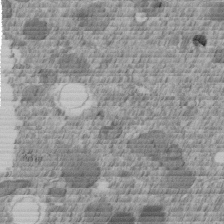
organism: C. elegans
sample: C. elegans embryo early stage